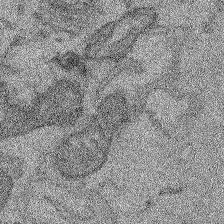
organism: Human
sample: HeLa cells